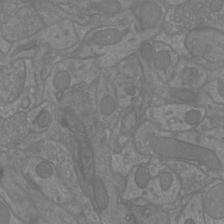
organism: Mouse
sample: Cortical neurons